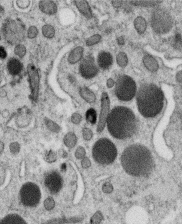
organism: C. elegans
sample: C. elegans oocyte; sperm cells